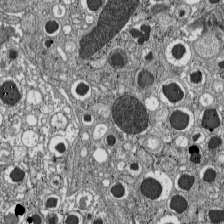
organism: C57BL Mouse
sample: Pancreatic islet